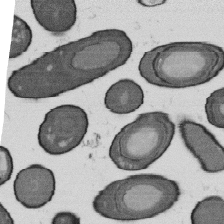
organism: B. subtilis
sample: Bacterial spore